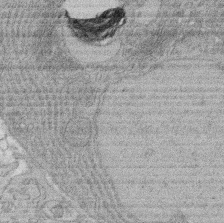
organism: Rat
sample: Salivary granule